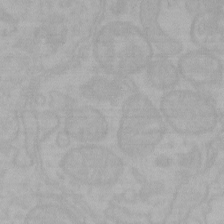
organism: Mouse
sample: Choroid plexus